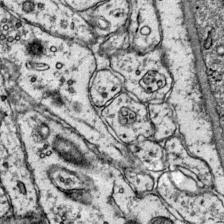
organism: Mouse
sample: Primary visual cortex